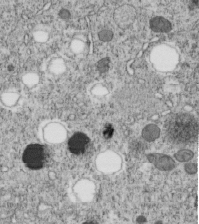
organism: C. elegans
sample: C. elegans embryo early stage